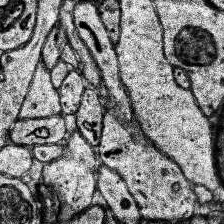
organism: Human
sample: Temporal Lobe